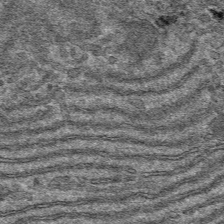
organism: Mouse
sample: Mouse hepatocytes